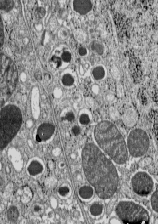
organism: C57BL Mouse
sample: Pancreatic islet